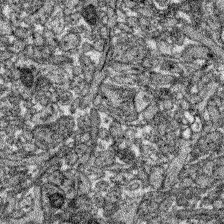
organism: Zebrafish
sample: Larval olfactory bulb